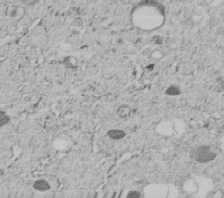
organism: C. elegans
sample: C. elegans embryo early stage